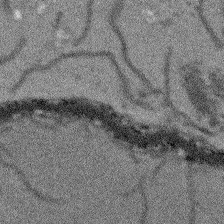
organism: Arabidopsis thaliana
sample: Root tip